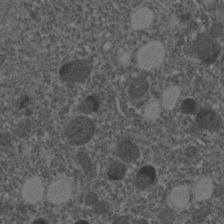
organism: C. elegans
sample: C. elegans embryo